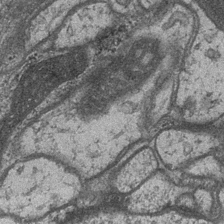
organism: Drosophila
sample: Optic medulla